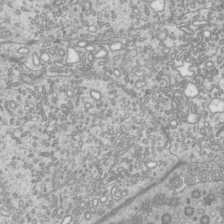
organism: Mouse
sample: Cilia; mouse epididymis